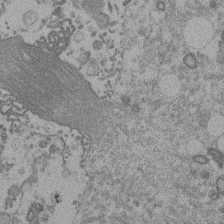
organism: Mouse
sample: Dividing mouse embryo 1 cell stage